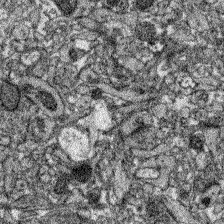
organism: Zebrafish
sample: Larval olfactory bulb